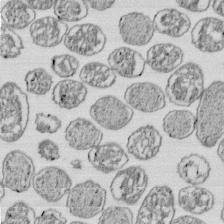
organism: E. coli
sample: Bacterial nucleoid